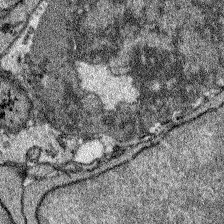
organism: Zebrafish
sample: Larval olfactory bulb